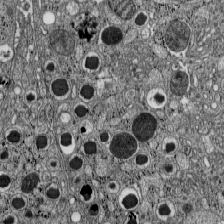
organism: C57BL Mouse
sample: Pancreatic islet